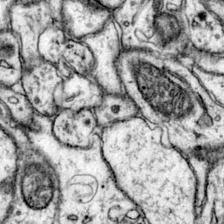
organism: Mouse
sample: Primary visual cortex